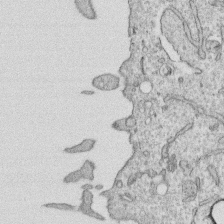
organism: Human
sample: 1205lu cells